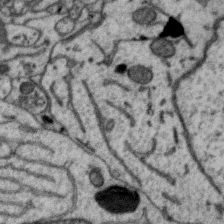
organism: Zebra finch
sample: Brain